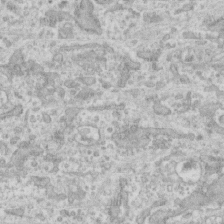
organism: Human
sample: CRL-1474